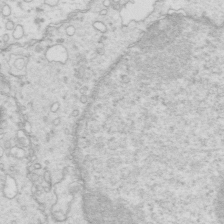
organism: Mouse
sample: Multiciliated cells